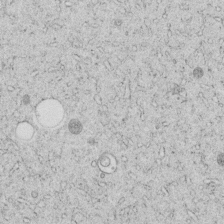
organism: C. elegans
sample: C. elegans embryo early stage